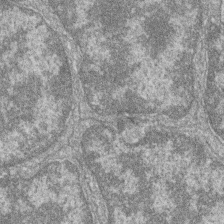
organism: Zebrafish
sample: Cilia; retinal pigment epithelium